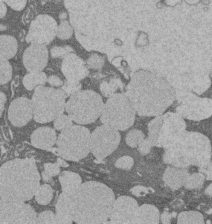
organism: Rat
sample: Salivary granule